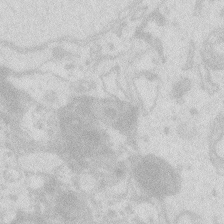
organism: Zebrafish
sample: Macrophage